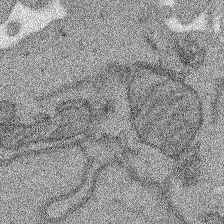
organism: Human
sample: HeLa cells